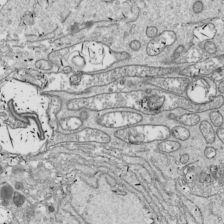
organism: Drosophila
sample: Cell division; meiosis; drosophila spermatocytes